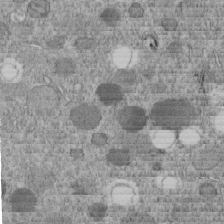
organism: C. elegans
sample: C. elegans embryo early stage